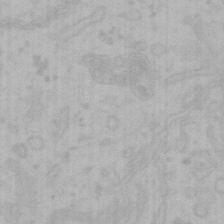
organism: Mouse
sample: Choroid plexus